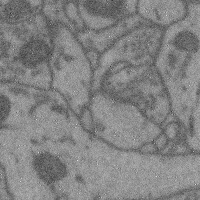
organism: Mouse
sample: Cerebral cortex